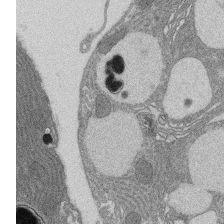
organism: Rat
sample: Salivary granule